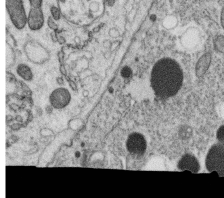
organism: C. elegans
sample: C. elegans oocyte; sperm cells